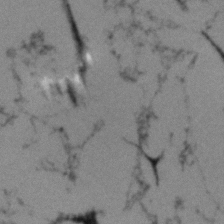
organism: Human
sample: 1205lu cells